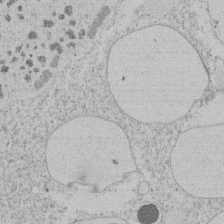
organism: Tetrahymena